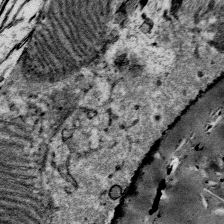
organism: Mouse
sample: Mouse Salivary gland